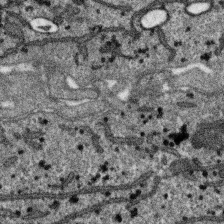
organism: Human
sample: Lung epithelial cells infected with SARS-CoV-2